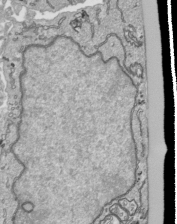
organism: Human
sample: Mitochondria in HCT116 cells